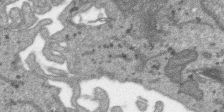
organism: Human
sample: Lung epithelial cells infected with SARS-CoV-2